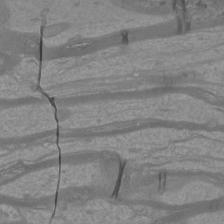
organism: Mouse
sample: Cortical neurons